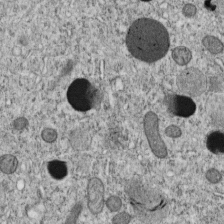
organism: C. elegans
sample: C. elegans embryo early stage